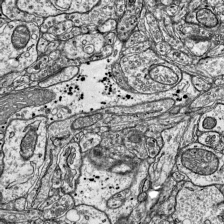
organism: Mouse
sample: Visual Cortex